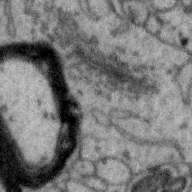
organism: Zebra finch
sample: Brain